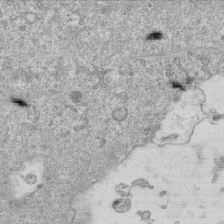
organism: Mouse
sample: Activated OT-1 CD8+ T cells